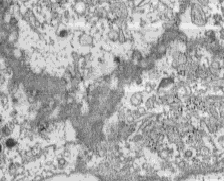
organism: C57BL Mouse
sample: Pancreatic islet